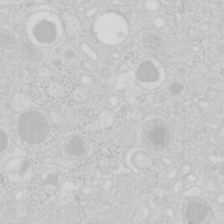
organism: Mouse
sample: Pancreas